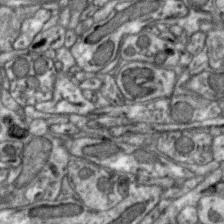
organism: Zebra finch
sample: Brain